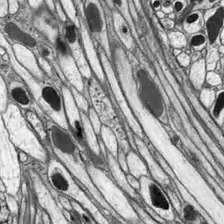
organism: Drosophila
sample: Optic lobe